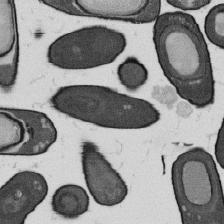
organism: B. subtilis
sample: Bacterial spore